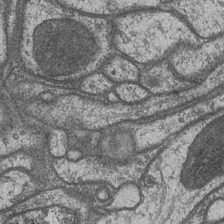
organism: Drosophila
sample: Optic medulla